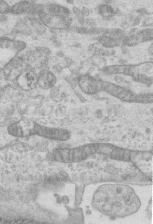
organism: Mouse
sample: Centriole in ependymal cells